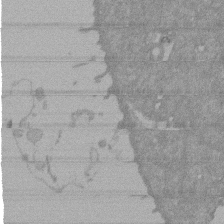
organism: Mouse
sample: ED-1 cell nuclei; centrioles